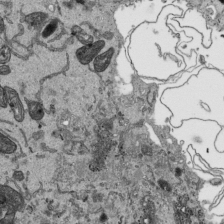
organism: Human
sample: Mitochondria in HCT116 cells